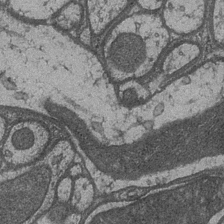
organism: Drosophila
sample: Optic medulla